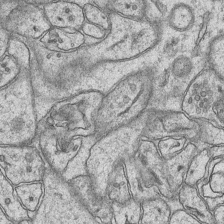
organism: Mouse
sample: CA1 Hippocampus